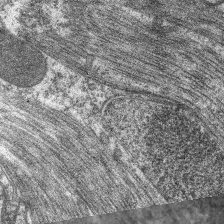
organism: C. elegans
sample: Pharynx